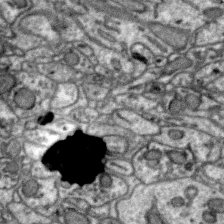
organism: Zebra finch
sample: Brain